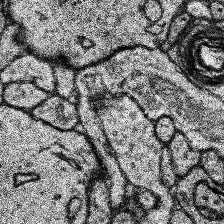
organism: Human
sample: Temporal Lobe